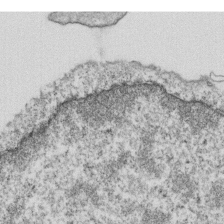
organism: Mouse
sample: Activated OT-1 CD8+ T cells